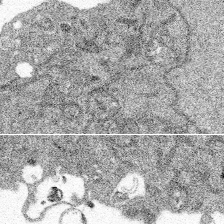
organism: Spongilla lacustris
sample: Multiple